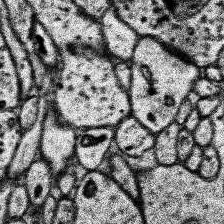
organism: Human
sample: Temporal Lobe